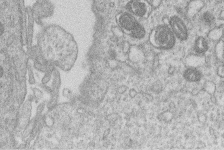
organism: Human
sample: Macrophage cells